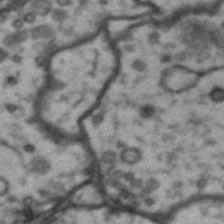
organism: Drosophila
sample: Brain